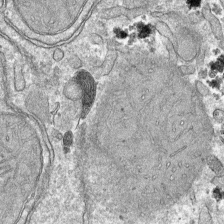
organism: Mouse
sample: Mouse hepatocytes